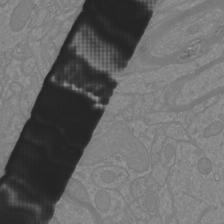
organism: Mouse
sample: Cortical neurons